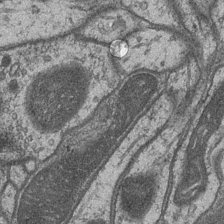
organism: Drosophila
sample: Optic medulla